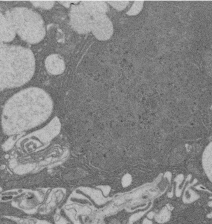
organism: Rat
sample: Salivary granule